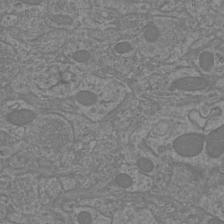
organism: Mouse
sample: Cortical neurons